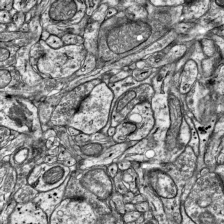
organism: Mouse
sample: Visual Cortex